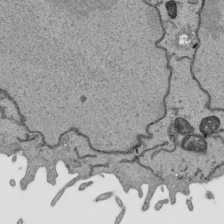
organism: Human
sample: Mitochondria in HCT116 cells